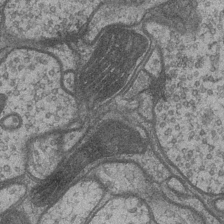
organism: Drosophila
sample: Optic medulla